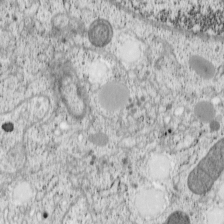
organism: African green monkey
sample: COS-7 cells